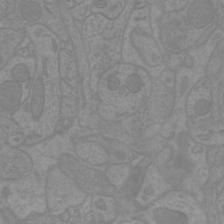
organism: Mouse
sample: Cortical neurons